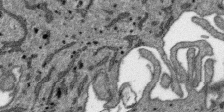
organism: Human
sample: Lung epithelial cells, uninfected (mock) control